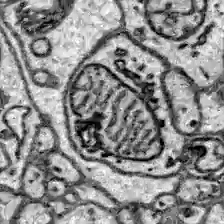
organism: Zebrafish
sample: Brain